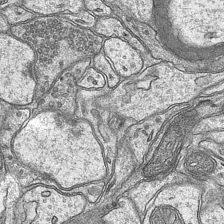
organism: Mouse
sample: CA1 Hippocampus